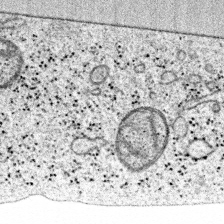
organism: Human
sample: HeLa cells